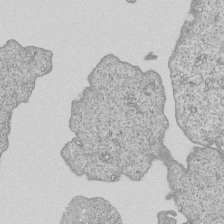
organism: Human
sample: MDA-MB-231 cells